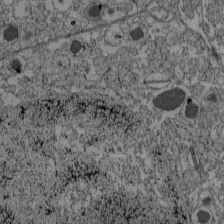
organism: C57BL Mouse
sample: Pancreatic islet